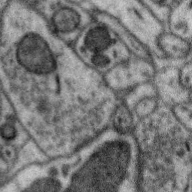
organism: Zebra finch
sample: Brain